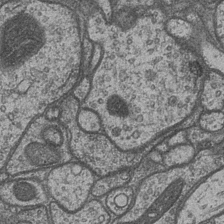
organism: Drosophila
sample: Optic medulla